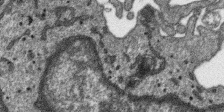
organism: Human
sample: Lung epithelial cells infected with SARS-CoV-2